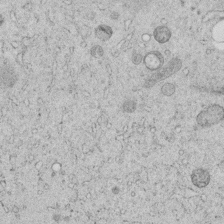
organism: C. elegans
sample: C. elegans embryo early stage